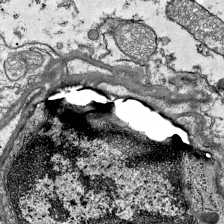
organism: Mouse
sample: Visual Cortex